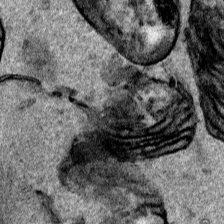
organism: Human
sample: Mitochondria in HCT116 cells